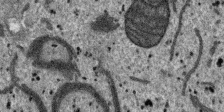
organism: Human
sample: Lung epithelial cells, uninfected (mock) control